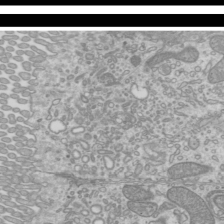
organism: Mouse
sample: Cilia; mouse epididymis